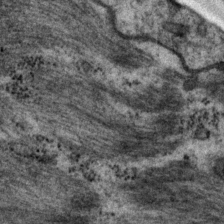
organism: P. pacificus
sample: Pharynx